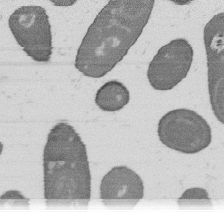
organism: B. subtilis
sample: Bacterial spore